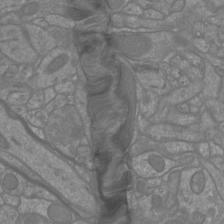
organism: Mouse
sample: Cortical neurons